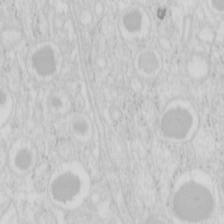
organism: Mouse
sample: Pancreas